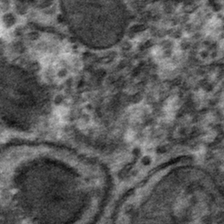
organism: Mouse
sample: Mouse hepatocytes